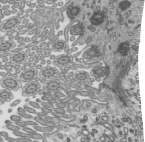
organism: Mouse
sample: Mouse epididymis efferent ductule cilia